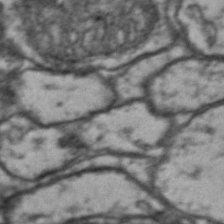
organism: Drosophila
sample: Brain